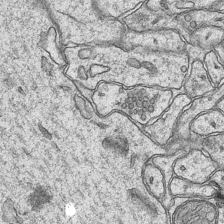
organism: Mouse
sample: CA1 Hippocampus